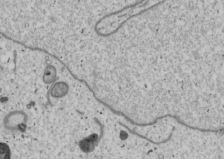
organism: Human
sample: Mitochondria in U2OS cells